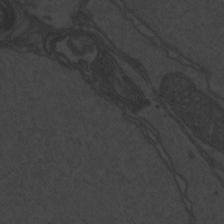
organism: Zebrafish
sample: Macrophage infected with Toxoplasma gondii